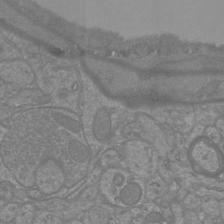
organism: Mouse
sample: Cortical neurons